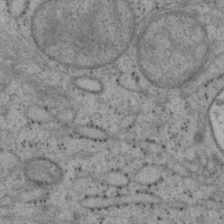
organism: Human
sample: HeLa cells